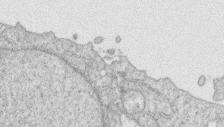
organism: Human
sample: HeLa cell HIV synapse